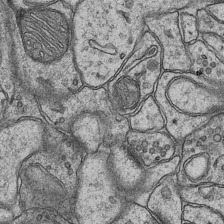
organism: Mouse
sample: CA1 Hippocampus